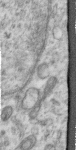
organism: Human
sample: Centriole in RPE cells